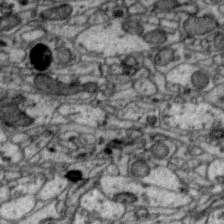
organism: Zebra finch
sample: Brain